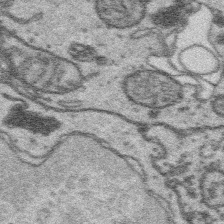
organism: Platynereis dumerilii